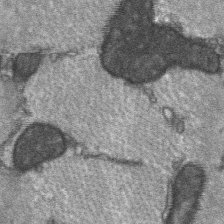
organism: C57BL Mouse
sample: Soleus